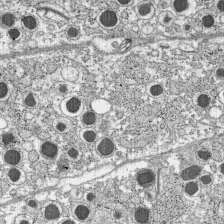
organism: C57BL Mouse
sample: Pancreatic islet